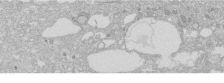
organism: Human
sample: Caco-2 cells